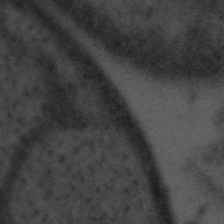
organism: Tuwongella immobilis